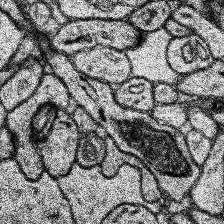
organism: Human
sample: Temporal Lobe